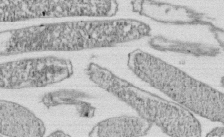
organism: E. coli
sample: Bacterial nucleoid